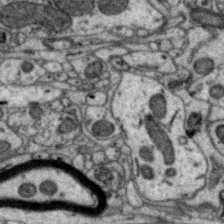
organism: Zebra finch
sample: Brain